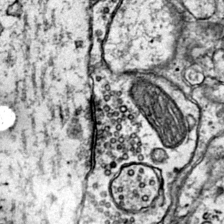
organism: Mouse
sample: Primary visual cortex